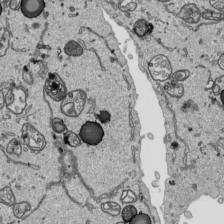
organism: Human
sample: Mitochondria in HCT116 cells